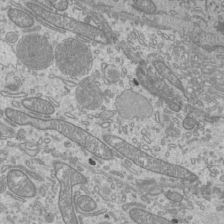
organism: Mouse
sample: Cilia; mouse epididymis